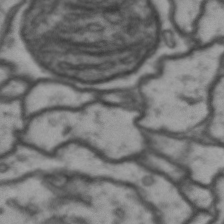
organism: Drosophila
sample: Brain